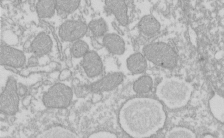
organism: Xenopus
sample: Cilia; centrioles in frog embryo cells